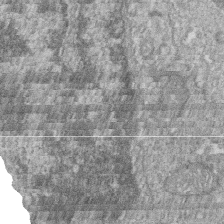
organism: Zebrafish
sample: Cilia; retinal pigment epithelium